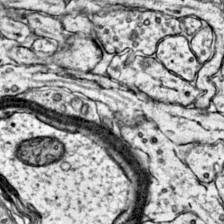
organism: Mouse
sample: Primary visual cortex